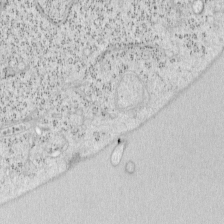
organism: Mouse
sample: OT-I killer T cells with ID8 ovarian cancer cells